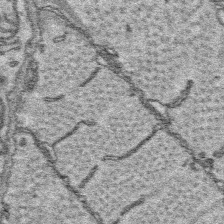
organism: Platynereis dumerilii